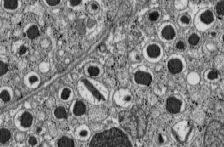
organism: C57BL Mouse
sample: Pancreatic islet